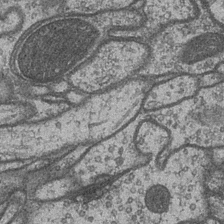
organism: Drosophila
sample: Optic medulla